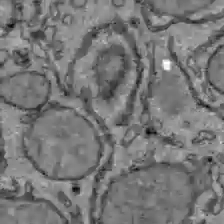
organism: C57BL Mouse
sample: Liver